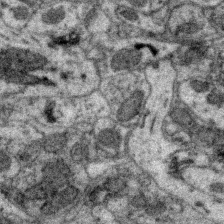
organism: Zebra finch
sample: Brain